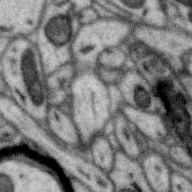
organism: Zebra finch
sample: Brain